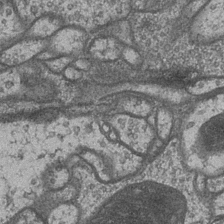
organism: Drosophila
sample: Optic medulla